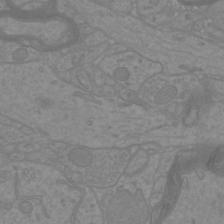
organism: Mouse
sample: Cortical neurons